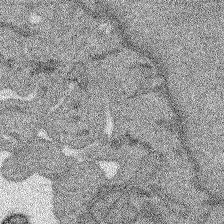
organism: Human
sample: HeLa cells